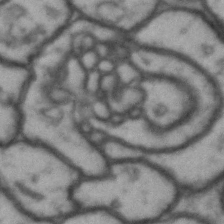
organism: Drosophila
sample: Brain